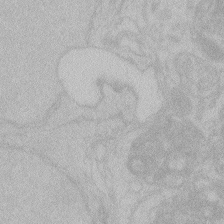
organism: Zebrafish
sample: Macrophage infected with Toxoplasma gondii